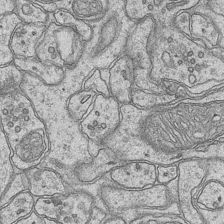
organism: Mouse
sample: CA1 Hippocampus